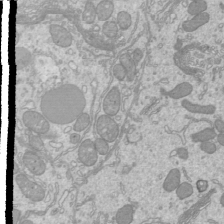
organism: Mouse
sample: Cilia; mouse epididymis